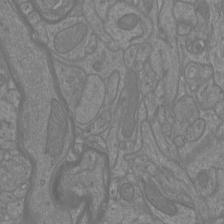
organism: Mouse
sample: Cortical neurons